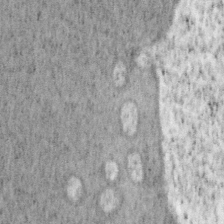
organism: Mouse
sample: OT-I killer T cells with ID8 ovarian cancer cells